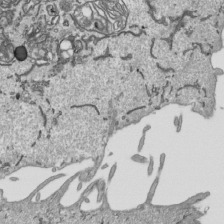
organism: Human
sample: Mitochondria in HCT116 cells